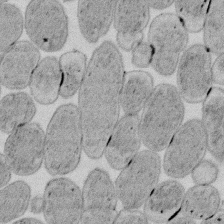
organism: E. coli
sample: Bacterial nucleoid